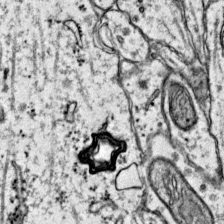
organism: Mouse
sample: Primary visual cortex